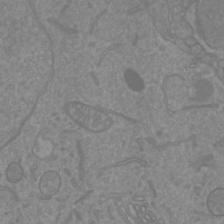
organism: Mouse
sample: Cortical neurons